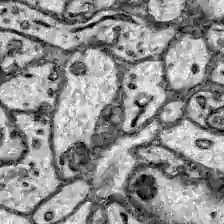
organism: Zebrafish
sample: Brain